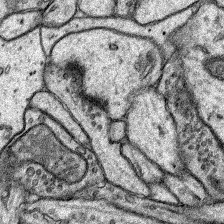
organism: Rat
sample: Hippocampus